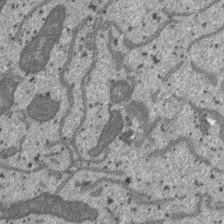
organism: Human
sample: Lung epithelial cells infected with SARS-CoV-2